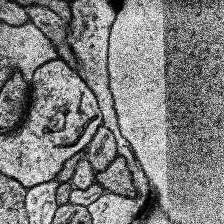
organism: Human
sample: Temporal Lobe